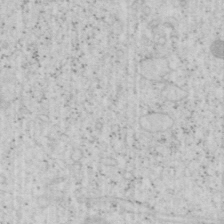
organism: Human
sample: HeLa cells